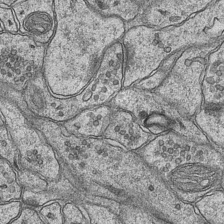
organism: Mouse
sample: CA1 Hippocampus